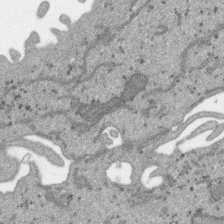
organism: Human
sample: Lung epithelial cells infected with SARS-CoV-2